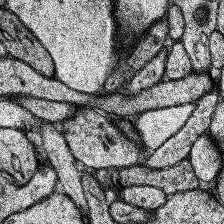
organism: Human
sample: Temporal Lobe